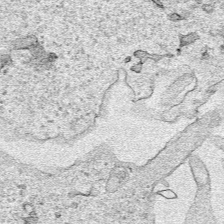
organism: Human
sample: Mitochondria in HCT116 cells